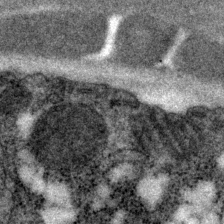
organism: P. pacificus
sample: Pharynx